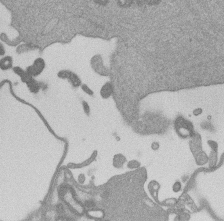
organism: Mouse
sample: Dividing mouse embryo 1 cell stage